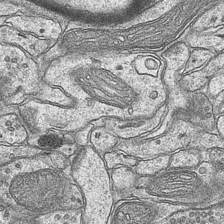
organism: Mouse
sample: CA1 Hippocampus